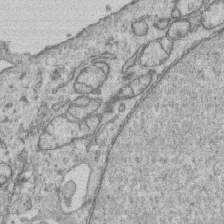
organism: Human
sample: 1205lu cells